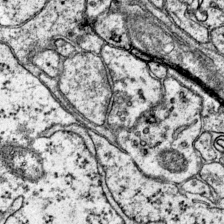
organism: Mouse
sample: Primary visual cortex